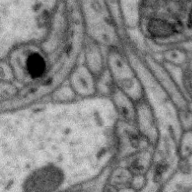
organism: Zebra finch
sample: Brain